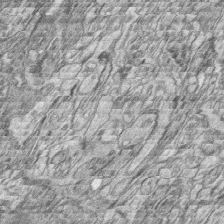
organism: Zebrafish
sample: synaptic ribbons in rod cells and cone cells